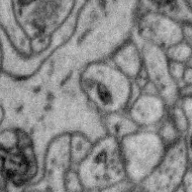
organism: Zebra finch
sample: Brain